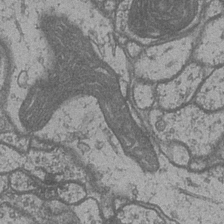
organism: Drosophila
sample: Optic medulla